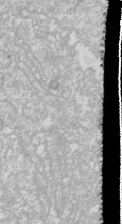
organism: Drosophila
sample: Cell division; meiosis; drosophila spermatocytes